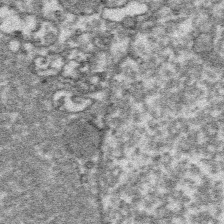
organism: Platynereis dumerilii